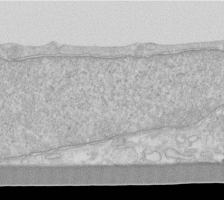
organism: Human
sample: Fibroblast cells